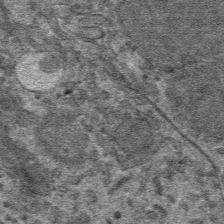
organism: Mouse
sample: Mouse hepatocytes